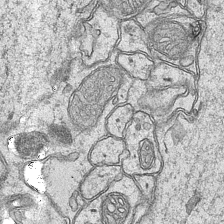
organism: Mouse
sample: CA1 Hippocampus